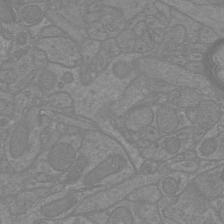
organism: Mouse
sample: Cortical neurons